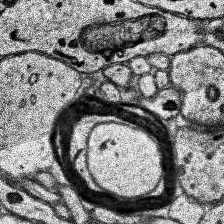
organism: Human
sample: Temporal Lobe